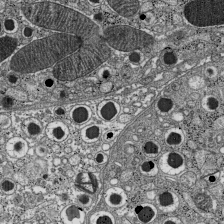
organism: C57BL Mouse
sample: Pancreatic islet